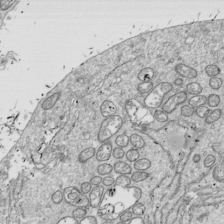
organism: Drosophila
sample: Cell division; meiosis; drosophila spermatocytes